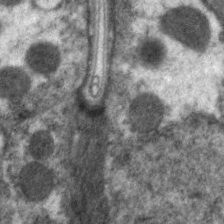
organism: C. elegans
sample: Pharynx